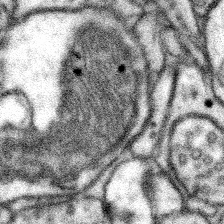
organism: Mouse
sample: Somatosensory cortex neuropil